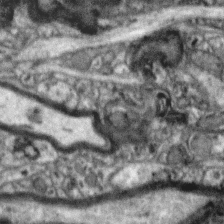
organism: Zebra finch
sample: Brain